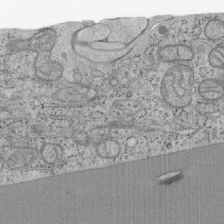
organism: Human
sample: HeLa cells